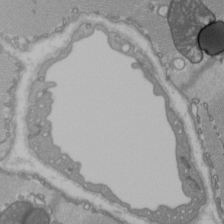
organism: C57BL Mouse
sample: Heart